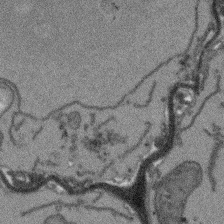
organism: Arabidopsis thaliana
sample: Root tip